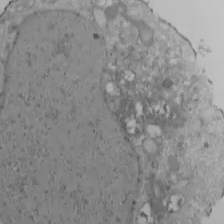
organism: Human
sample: Jurkat E6-1 and CD4 cells